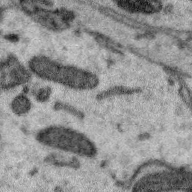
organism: Zebra finch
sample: Brain